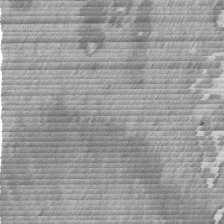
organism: Mouse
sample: Dividing mouse embryo 1 cell stage